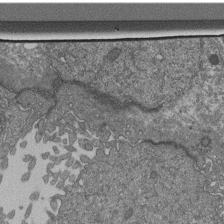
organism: Human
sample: Retinal organoid Rod and Cone cells